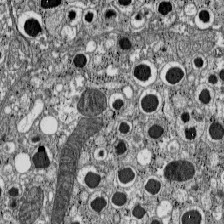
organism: C57BL Mouse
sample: Pancreatic islet